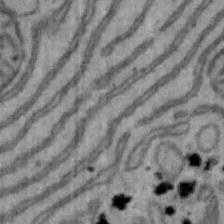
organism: Mouse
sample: Liver